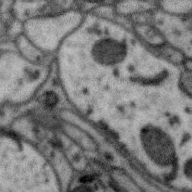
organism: Zebra finch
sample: Brain